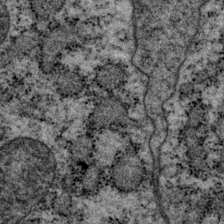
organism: P. pacificus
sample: Pharynx